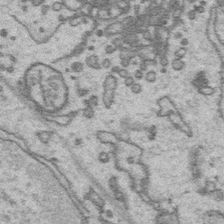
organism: Platynereis dumerilii